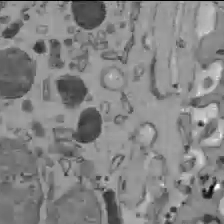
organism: C57BL Mouse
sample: Liver